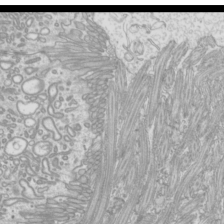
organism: Mouse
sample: Cilia; mouse epididymis